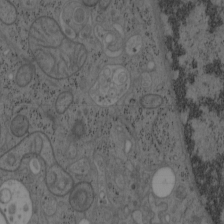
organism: Mouse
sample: OT-I killer T cells with ID8 ovarian cancer cells